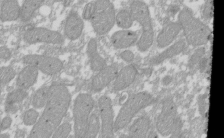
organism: Xenopus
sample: Cilia; centrioles in frog embryo cells